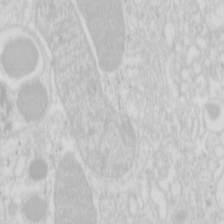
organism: Mouse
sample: Pancreas